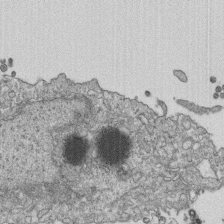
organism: Human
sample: HeLa cell HIV synapse